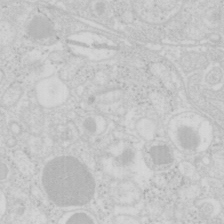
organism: Mouse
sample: Pancreas